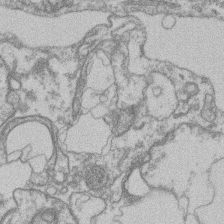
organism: Mouse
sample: T cell stromal cell synapse